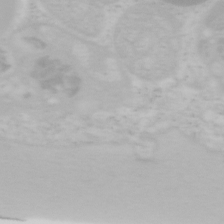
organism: Mouse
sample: OT-I killer T cells with ID8 ovarian cancer cells